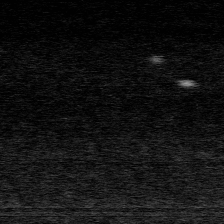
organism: Human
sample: HeLa cells